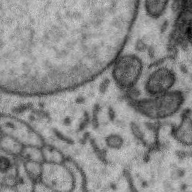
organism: Zebra finch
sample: Brain